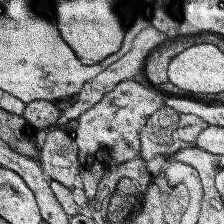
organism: Human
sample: Temporal Lobe